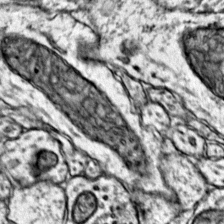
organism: Mouse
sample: Primary visual cortex